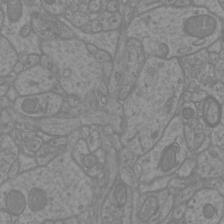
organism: Mouse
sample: Cortical neurons